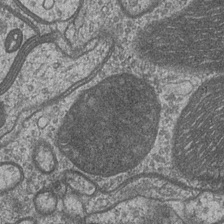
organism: Drosophila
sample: Optic medulla